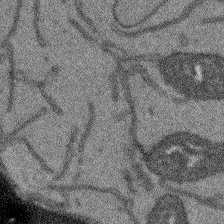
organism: Arabidopsis thaliana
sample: Root tip